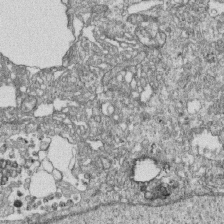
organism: Human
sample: HeLa cell HIV synapse